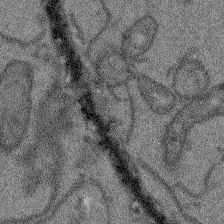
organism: Arabidopsis thaliana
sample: Root tip